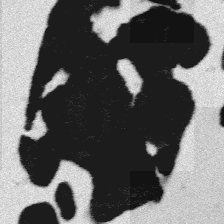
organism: Platynereis dumerilii